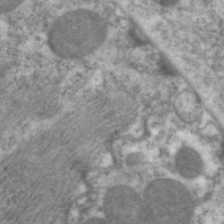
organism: C. elegans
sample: Pharynx